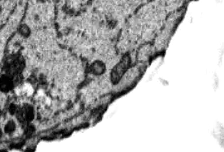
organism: Human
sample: HeLa cells